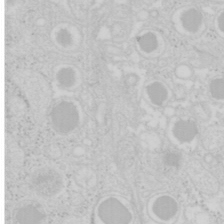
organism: Mouse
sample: Pancreas